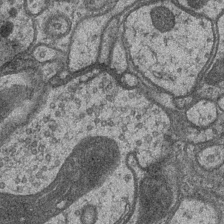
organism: Drosophila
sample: Optic medulla